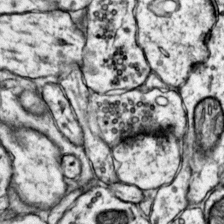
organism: Mouse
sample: Primary visual cortex